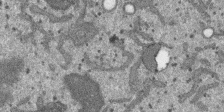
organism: Human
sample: Lung epithelial cells infected with SARS-CoV-2